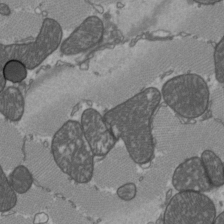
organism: C57BL Mouse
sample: Heart